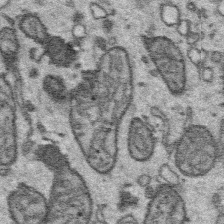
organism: Platynereis dumerilii